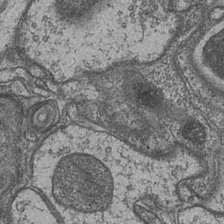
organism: Drosophila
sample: Optic medulla